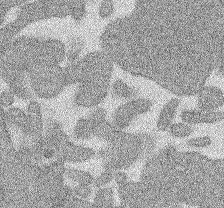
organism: Human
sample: HeLa cells